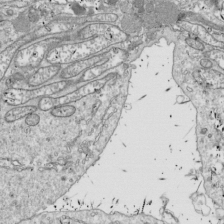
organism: Drosophila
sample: Cell division; meiosis; drosophila spermatocytes